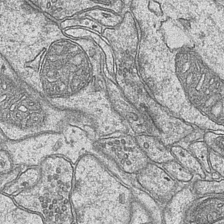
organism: Mouse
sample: CA1 Hippocampus